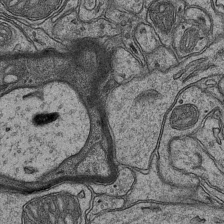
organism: Mouse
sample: CA1 Hippocampus